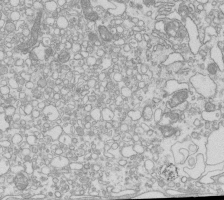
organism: Mouse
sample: Macrophages